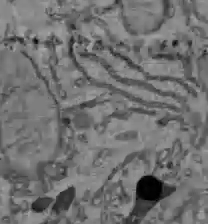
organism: C57BL Mouse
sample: Liver